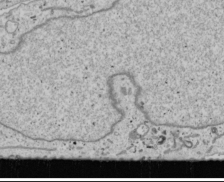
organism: Human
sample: Mitochondria in U2OS cells